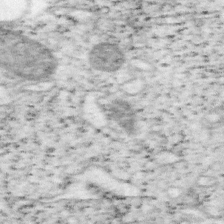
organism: Mouse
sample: OT-I killer T cells with ID8 ovarian cancer cells